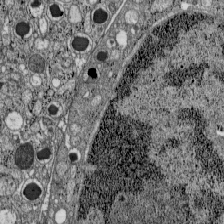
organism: C57BL Mouse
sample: Pancreatic islet